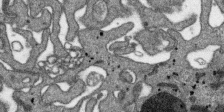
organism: Human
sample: Lung epithelial cells, uninfected (mock) control